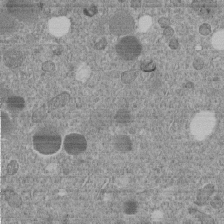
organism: C. elegans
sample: C. elegans embryo early stage